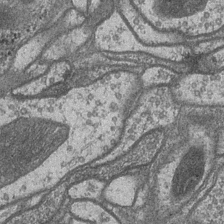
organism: Drosophila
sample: Optic medulla